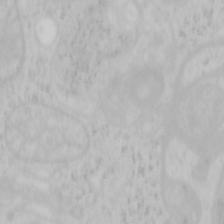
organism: Mouse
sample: OT-I killer T cells with ID8 ovarian cancer cells